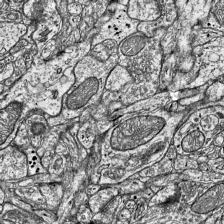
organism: Mouse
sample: Visual Cortex